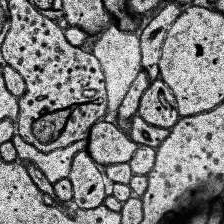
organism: Human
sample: Temporal Lobe